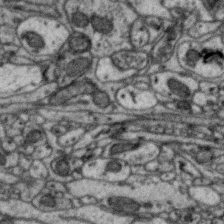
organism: Zebra finch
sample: Brain